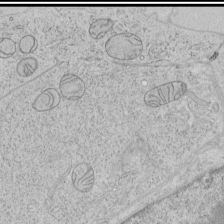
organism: Human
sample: Mitochondria in HCT116 cells